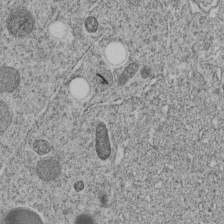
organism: C. elegans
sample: C. elegans embryo early stage